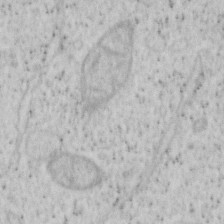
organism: Human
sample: HeLa cells